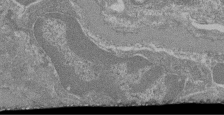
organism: Mouse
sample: Glomerulus